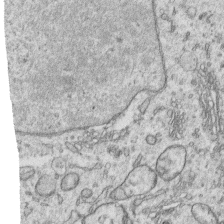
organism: Human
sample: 1205lu cells